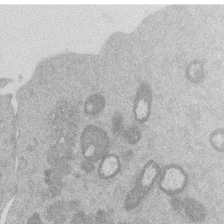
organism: Mouse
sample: Dividing mouse embryo 1 cell stage